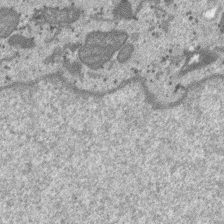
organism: Human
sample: Lung epithelial cells infected with SARS-CoV-2